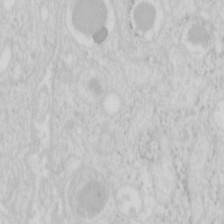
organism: Mouse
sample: Pancreas